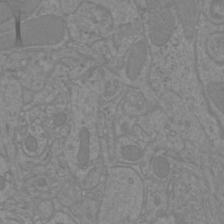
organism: Mouse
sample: Cortical neurons